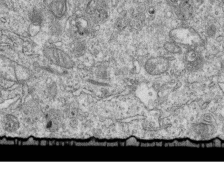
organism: Human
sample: HeLa cell HIV synapse